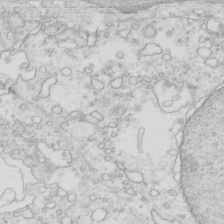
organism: Mouse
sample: Multiciliated cells